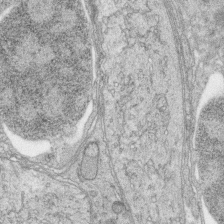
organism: Zebrafish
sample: synaptic ribbons in rod cells and cone cells